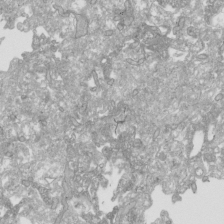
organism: Human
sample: Mitochondria in HCT116 cells